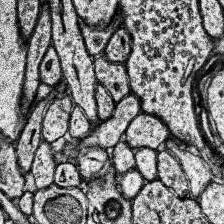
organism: Human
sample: Temporal Lobe